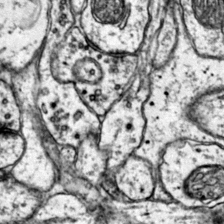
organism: Mouse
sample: Primary visual cortex